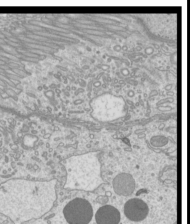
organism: Mouse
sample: Cilia; mouse epididymis